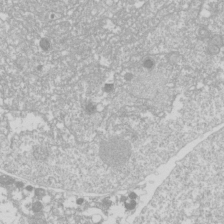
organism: Drosophila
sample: Cell division; meiosis; drosophila spermatocytes